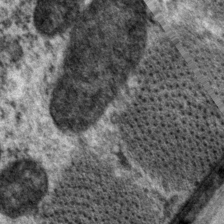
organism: P. pacificus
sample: Pharynx